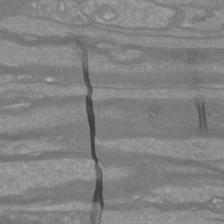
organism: Mouse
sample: Cortical neurons